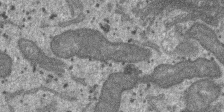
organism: Human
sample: Lung epithelial cells infected with SARS-CoV-2